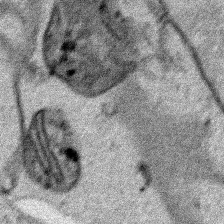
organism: Human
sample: Mitochondria in HCT116 cells